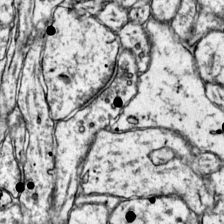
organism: Mouse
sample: Primary visual cortex